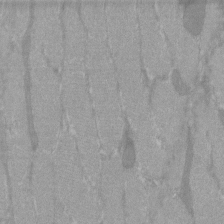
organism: C57BL Mouse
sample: Tibialis anterior muscle cell